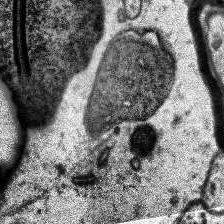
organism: Human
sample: Temporal Lobe